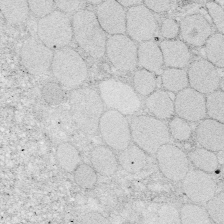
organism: Zebrafish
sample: Whole-Brain